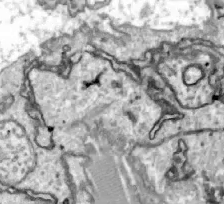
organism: Zebrafish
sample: Actinotrichia fibers